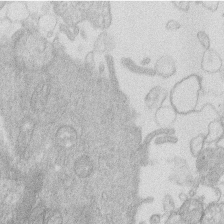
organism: Human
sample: Macrophage cells